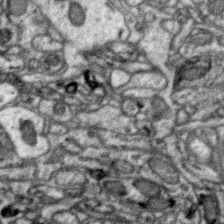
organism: Zebra finch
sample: Brain